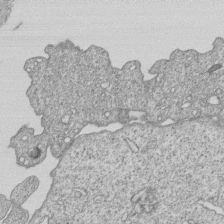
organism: Human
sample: MDA-MB-231 cells